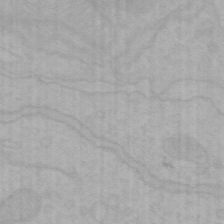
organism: Mouse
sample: Choroid plexus